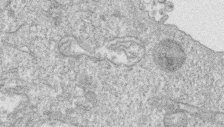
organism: Human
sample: HeLa cell HIV synapse